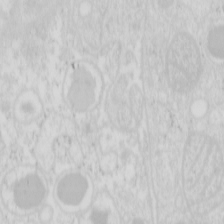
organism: Mouse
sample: Pancreas